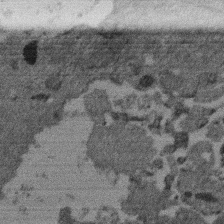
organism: Mouse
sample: Dividing mouse embryo 1 cell stage